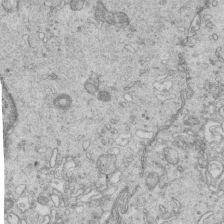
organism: Mouse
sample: Multiciliated cells